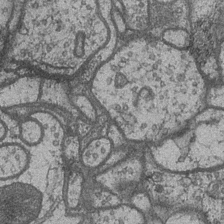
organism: Drosophila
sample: Optic medulla